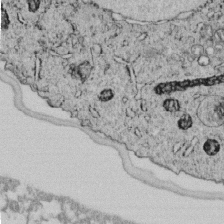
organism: C. elegans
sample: C. elegans embryo early stage